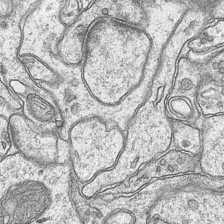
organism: Mouse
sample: CA1 Hippocampus